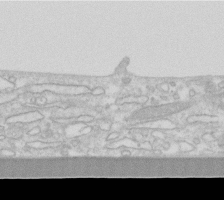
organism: Human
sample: Fibroblast cells